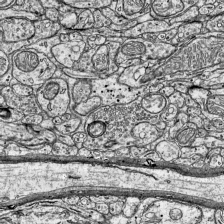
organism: Mouse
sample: Visual Cortex